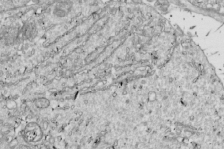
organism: Drosophila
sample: Cell division; meiosis; drosophila spermatocytes